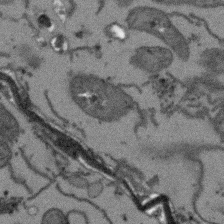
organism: Arabidopsis thaliana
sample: Root tip